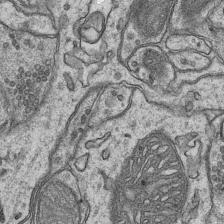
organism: Mouse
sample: CA1 Hippocampus